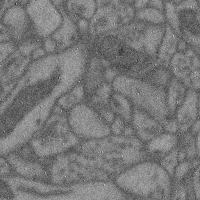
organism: Mouse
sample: Cerebral cortex